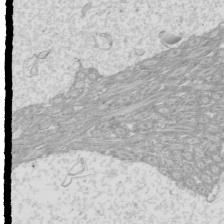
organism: Mouse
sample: Cilia; mouse epididymis